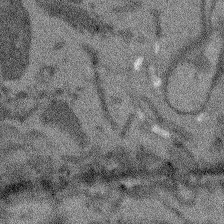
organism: Arabidopsis thaliana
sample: Root tip